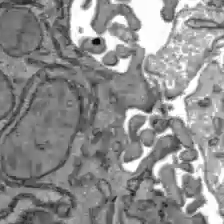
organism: C57BL Mouse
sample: Liver